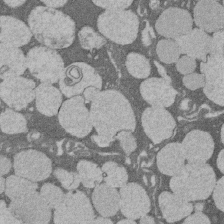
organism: Rat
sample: Salivary granule